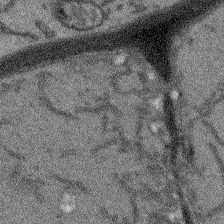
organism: Arabidopsis thaliana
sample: Root tip